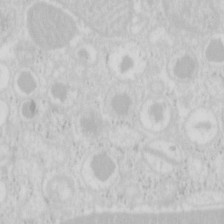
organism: Mouse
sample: Pancreas